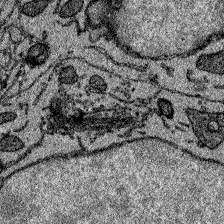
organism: Zebrafish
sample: Larval olfactory bulb